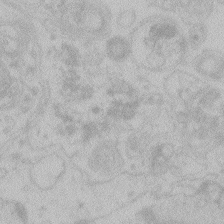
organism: Zebrafish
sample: Macrophage infected with Toxoplasma gondii